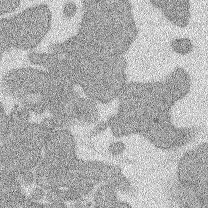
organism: Human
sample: HeLa cells